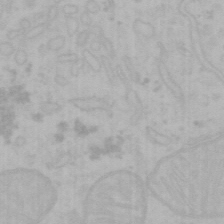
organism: Mouse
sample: Choroid plexus